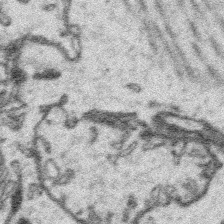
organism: Platynereis dumerilii